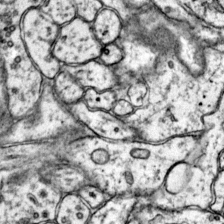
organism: Mouse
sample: Primary visual cortex